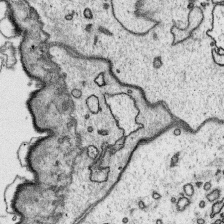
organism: Platynereis dumerilii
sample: Parapodia